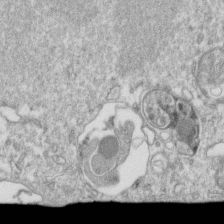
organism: Mouse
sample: Activated OT-1 CD8+ T cells